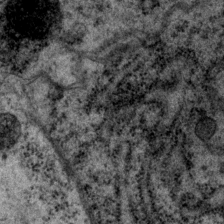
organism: P. pacificus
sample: Pharynx